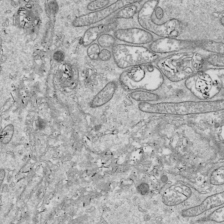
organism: Drosophila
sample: Cell division; meiosis; drosophila spermatocytes